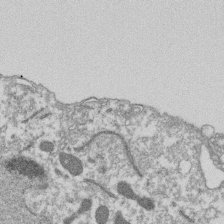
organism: Dictyostelium discoideum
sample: Dictyostelium multivesicular bodies